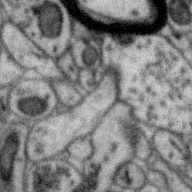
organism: Zebra finch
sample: Brain